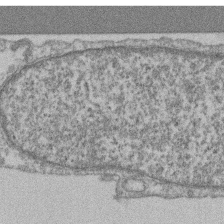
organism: Mouse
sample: T cell stromal cell synapse